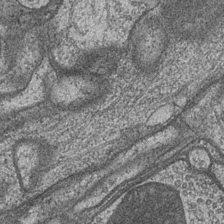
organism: Drosophila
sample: Optic medulla